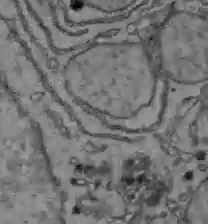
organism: C57BL Mouse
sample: Liver